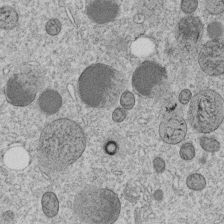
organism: C. elegans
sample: C. elegans embryo early stage